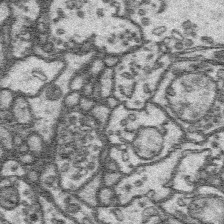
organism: Platynereis dumerilii